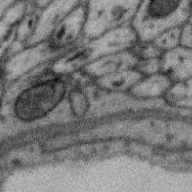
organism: Zebra finch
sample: Brain